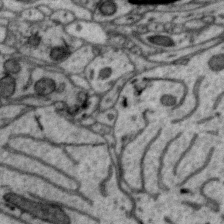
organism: Zebra finch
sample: Brain